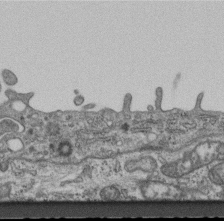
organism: Mouse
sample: Centriole in ependymal cells